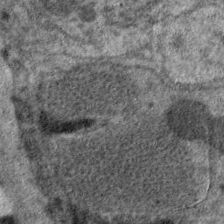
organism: C. elegans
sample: Pharynx